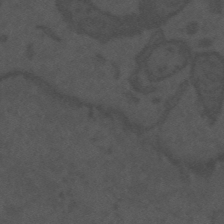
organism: Mouse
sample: Suprachiasmatic nucleus